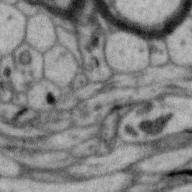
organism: Zebra finch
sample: Brain